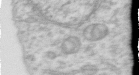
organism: Human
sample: Centriole in RPE cells